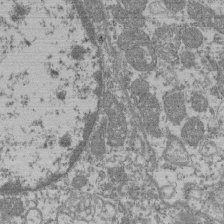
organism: Mouse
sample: Glomerulus